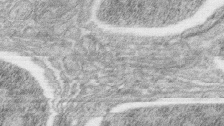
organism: Zebrafish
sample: synaptic ribbons in rod cells and cone cells